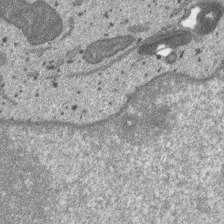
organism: Human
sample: Lung epithelial cells infected with SARS-CoV-2